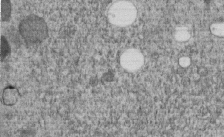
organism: C. elegans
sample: C. elegans embryo early stage